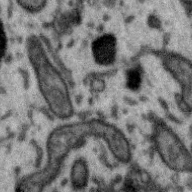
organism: Zebra finch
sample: Brain